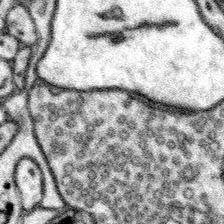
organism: Mouse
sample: Somatosensory cortex neuropil